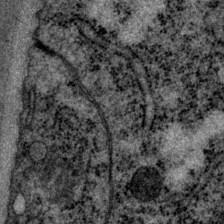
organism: P. pacificus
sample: Pharynx